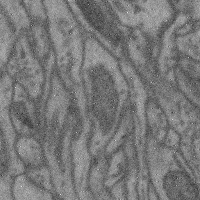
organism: Mouse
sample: Cerebral cortex